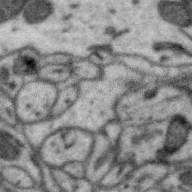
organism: Zebra finch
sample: Brain